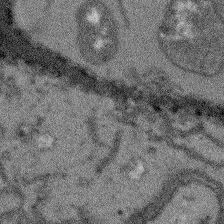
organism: Arabidopsis thaliana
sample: Root tip